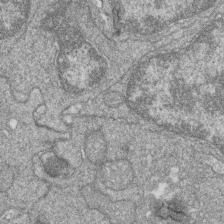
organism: Zebrafish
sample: Cilia; retinal pigment epithelium